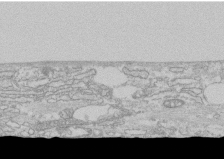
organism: Human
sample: CRL-1474